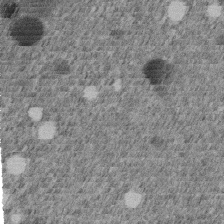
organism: C. elegans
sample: C. elegans embryo early stage